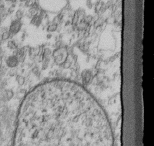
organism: Mouse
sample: Cilia; retinal pigment epithelium